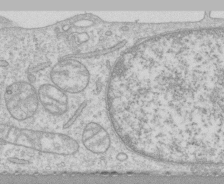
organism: Human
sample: CRL-1474